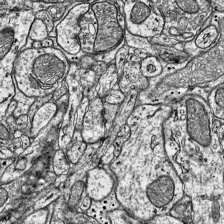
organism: Mouse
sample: Visual Cortex